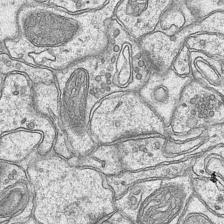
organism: Mouse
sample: CA1 Hippocampus